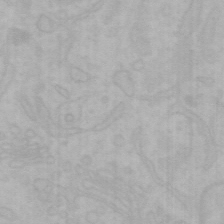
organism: Mouse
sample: Choroid plexus